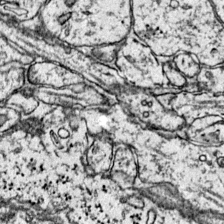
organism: Mouse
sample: Primary visual cortex